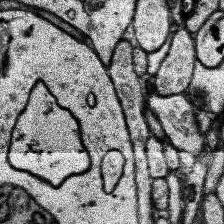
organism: Human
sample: Temporal Lobe